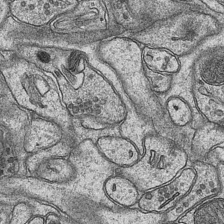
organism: Mouse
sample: CA1 Hippocampus